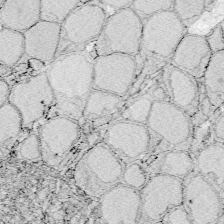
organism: Zebrafish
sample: Whole-Brain